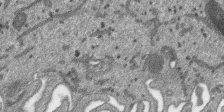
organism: Human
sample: Lung epithelial cells infected with SARS-CoV-2